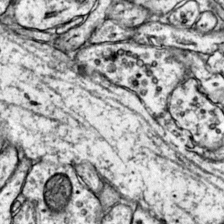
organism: Mouse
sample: Primary visual cortex